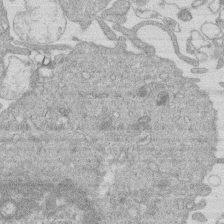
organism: Human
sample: Macrophage cells